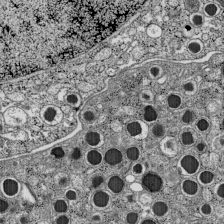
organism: C57BL Mouse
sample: Pancreatic islet